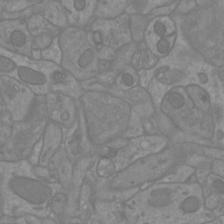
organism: Mouse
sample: Cortical neurons